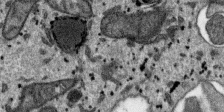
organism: Human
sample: Lung epithelial cells, uninfected (mock) control